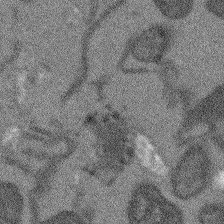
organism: Arabidopsis thaliana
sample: Root tip